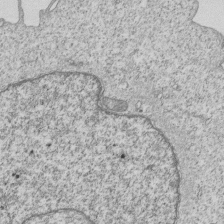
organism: Human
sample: MDA-MB-231 cells